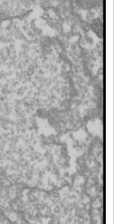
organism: Drosophila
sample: Cell division; meiosis; drosophila spermatocytes